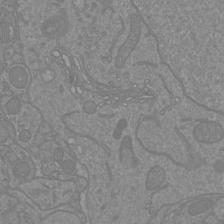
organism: Mouse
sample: Cortical neurons